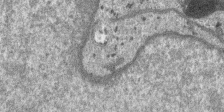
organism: Human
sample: Lung epithelial cells infected with SARS-CoV-2